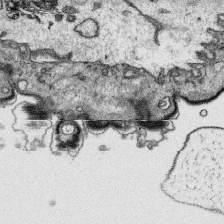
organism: Platynereis dumerilii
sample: Parapodia